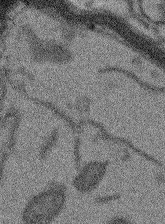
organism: Arabidopsis thaliana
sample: Root tip